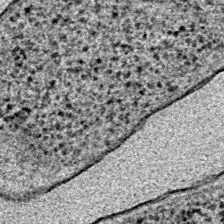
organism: E. coli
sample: E. Coli Bacteria